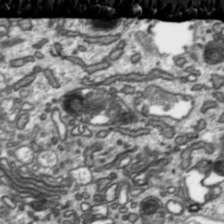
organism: Toxoplasma gondii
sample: Parasites in a vacuole inside a host cell